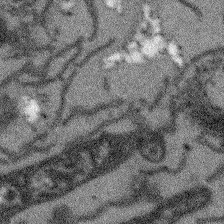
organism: Arabidopsis thaliana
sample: Root tip